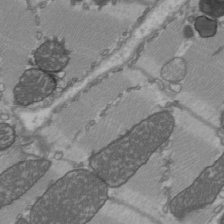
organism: C57BL Mouse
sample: Heart